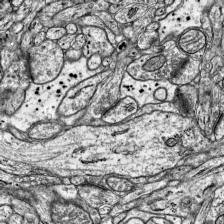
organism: Mouse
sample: Visual Cortex